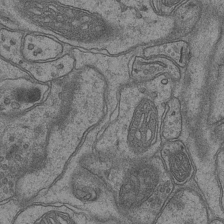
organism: Mouse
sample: CA1 Hippocampus